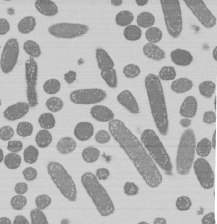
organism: E. coli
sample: Bacterial nucleoid